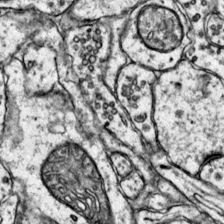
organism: Mouse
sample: Primary visual cortex